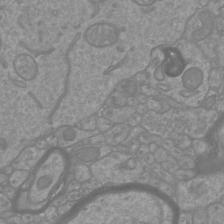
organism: Mouse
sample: Cortical neurons